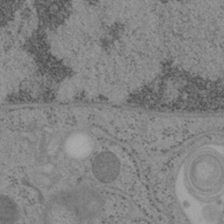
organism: Mouse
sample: OT-I killer T cells with ID8 ovarian cancer cells